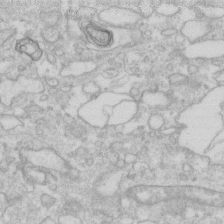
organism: Human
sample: Fibroblast cells